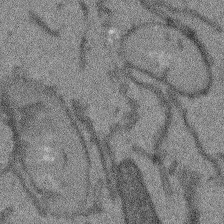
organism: Arabidopsis thaliana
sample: Root tip